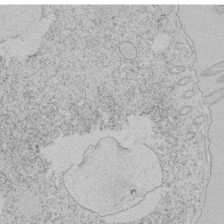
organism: Tetrahymena